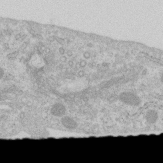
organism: Human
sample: Centriole in RPE cells